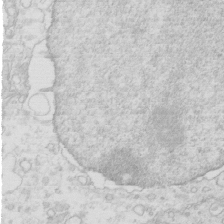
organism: Mouse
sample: Multiciliated cells